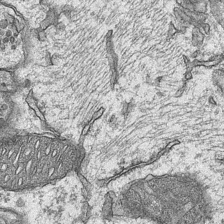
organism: Mouse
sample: CA1 Hippocampus